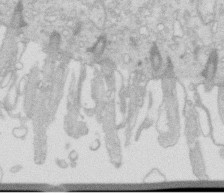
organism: Mouse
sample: Multiciliated cells